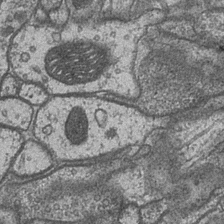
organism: Drosophila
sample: Optic medulla